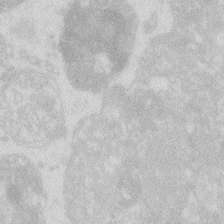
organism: Zebrafish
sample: Macrophage